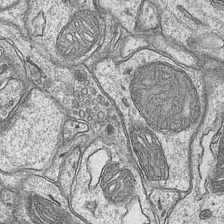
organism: Mouse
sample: CA1 Hippocampus